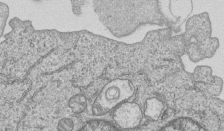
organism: Human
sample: MDA-MB-231 cells